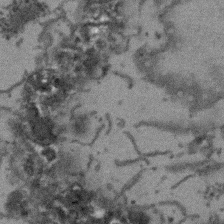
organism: Arabidopsis thaliana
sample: Root tip